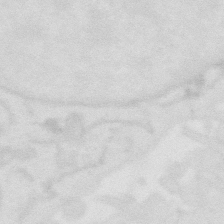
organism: Human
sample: HeLa cells